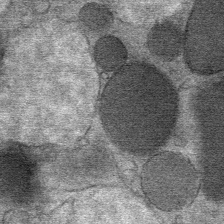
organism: Mouse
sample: Mouse Salivary gland